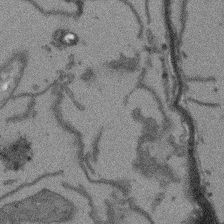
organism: Arabidopsis thaliana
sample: Root tip